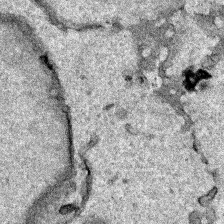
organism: Human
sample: Mitochondria in HCT116 cells